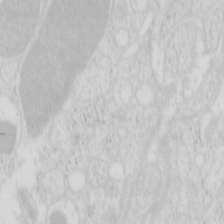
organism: Mouse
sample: Pancreas